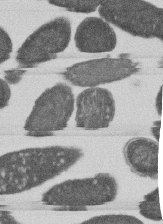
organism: E. coli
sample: Bacterial nucleoid